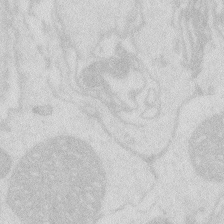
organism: Zebrafish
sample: Macrophage